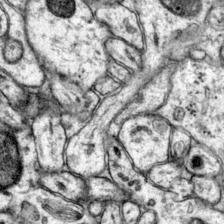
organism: Mouse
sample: Primary visual cortex